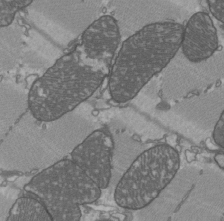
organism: C57BL Mouse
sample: Heart